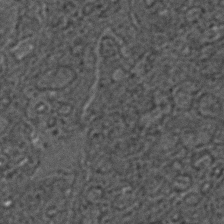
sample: Trachea